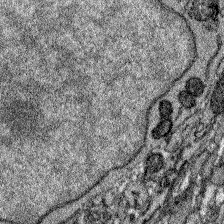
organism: Zebrafish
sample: Larval olfactory bulb